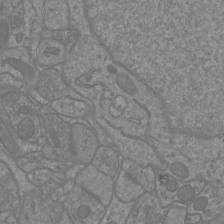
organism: Mouse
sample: Cortical neurons